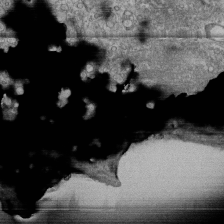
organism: Human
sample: Fibroblast cells